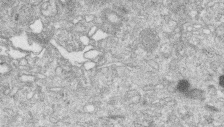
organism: Human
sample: HeLa cell HIV synapse